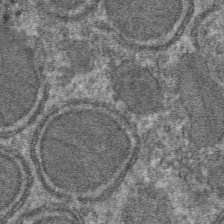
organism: Mouse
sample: Mouse hepatocytes